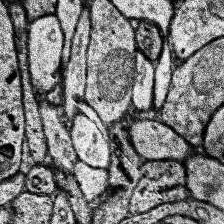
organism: Human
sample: Temporal Lobe